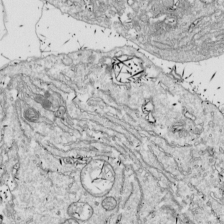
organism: Drosophila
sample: Cell division; meiosis; drosophila spermatocytes